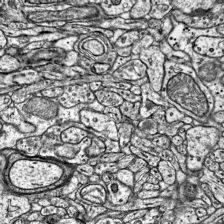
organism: Mouse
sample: Visual Cortex